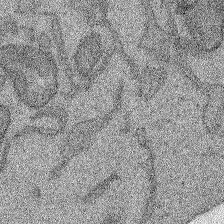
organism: Human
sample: HeLa cells